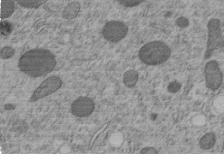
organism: C. elegans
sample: C. elegans embryo early stage